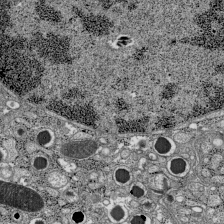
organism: C57BL Mouse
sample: Pancreatic islet